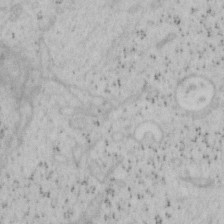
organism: Human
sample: HeLa cells